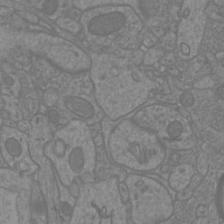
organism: Mouse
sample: Cortical neurons